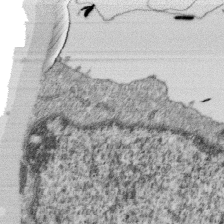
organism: African green monkey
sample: Vero E6 cells infected with SARS-CoV-2